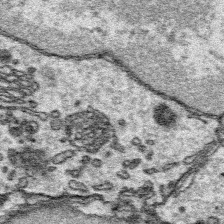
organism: Platynereis dumerilii